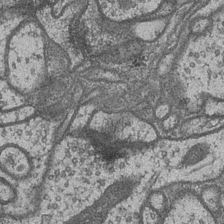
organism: Drosophila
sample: Optic medulla